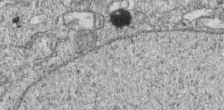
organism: Human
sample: HeLa cell HIV synapse